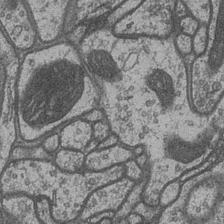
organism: Drosophila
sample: Optic medulla